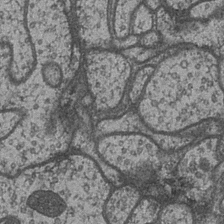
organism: Drosophila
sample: Optic medulla